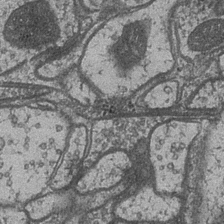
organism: Drosophila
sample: Optic medulla